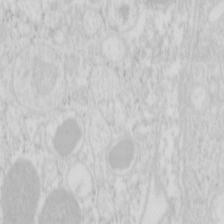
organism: Mouse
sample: Pancreas